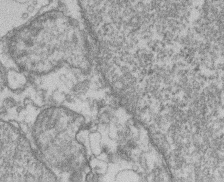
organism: Mouse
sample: T cell stromal cell synapse